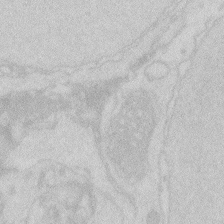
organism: Zebrafish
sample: Macrophage